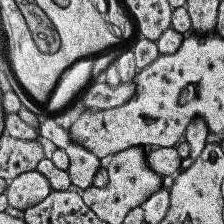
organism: Human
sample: Temporal Lobe